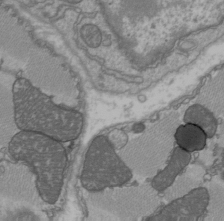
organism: C57BL Mouse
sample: Heart